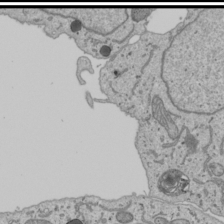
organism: Human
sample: Mitochondria in U2OS cells